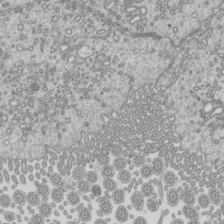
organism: Mouse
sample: Cilia; mouse epididymis